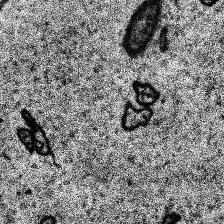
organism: Human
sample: Temporal Lobe